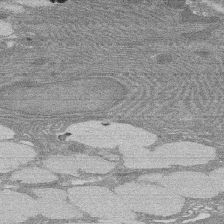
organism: Rat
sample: Salivary granule